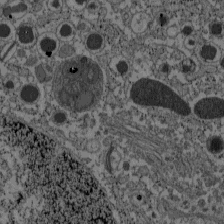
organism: C57BL Mouse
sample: Pancreatic islet